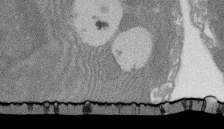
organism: Rat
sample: Salivary granule